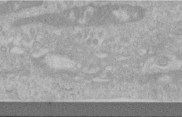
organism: Human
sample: Centriole in RPE cells